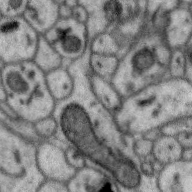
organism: Zebra finch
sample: Brain